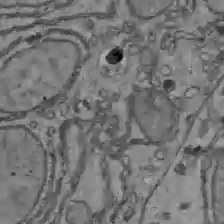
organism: C57BL Mouse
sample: Liver